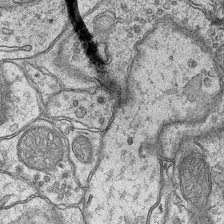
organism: Mouse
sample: CA1 Hippocampus